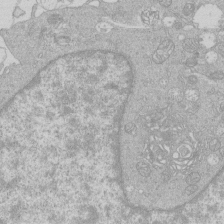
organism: Human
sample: Macrophage cells